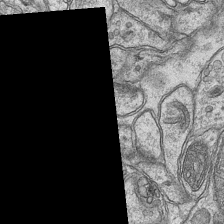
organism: Mouse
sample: CA1 Hippocampus